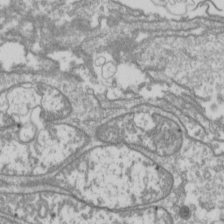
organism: Drosophila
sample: Cell division; meiosis; drosophila spermatocytes